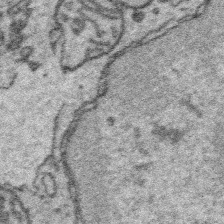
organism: Platynereis dumerilii